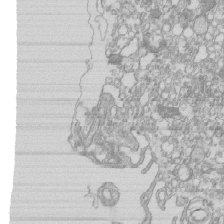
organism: Mouse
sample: Macrophages